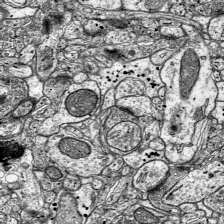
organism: Mouse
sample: Visual Cortex